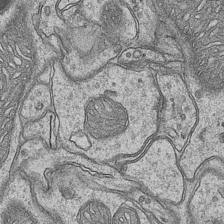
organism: Mouse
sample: CA1 Hippocampus